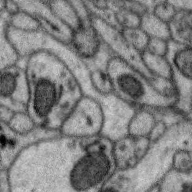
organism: Zebra finch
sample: Brain